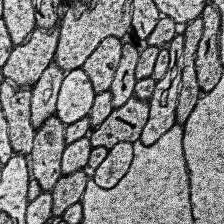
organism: Human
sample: Temporal Lobe